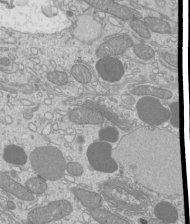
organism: Mouse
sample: Cilia; mouse epididymis